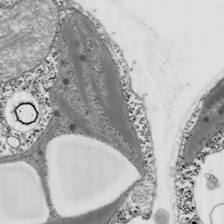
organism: Chlamydomonas reinhardtii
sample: Whole Cell